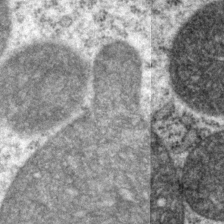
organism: P. pacificus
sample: Pharynx